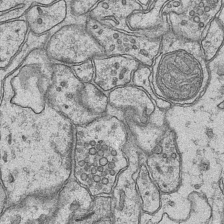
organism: Mouse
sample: CA1 Hippocampus